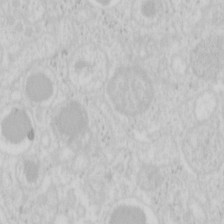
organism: Mouse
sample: Pancreas